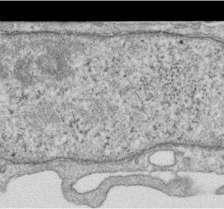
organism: Human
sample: Centriole in RPE cells